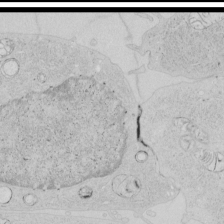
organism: Human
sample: Mitochondria in HCT116 cells